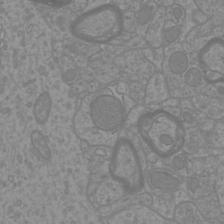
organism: Mouse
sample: Cortical neurons